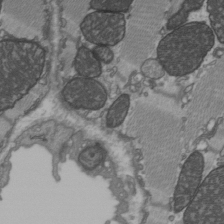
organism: C57BL Mouse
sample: Heart